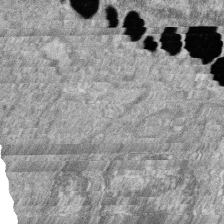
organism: Zebrafish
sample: Cilia; retinal pigment epithelium